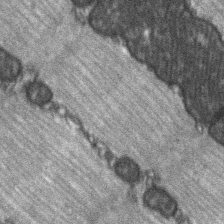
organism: C57BL Mouse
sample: Soleus